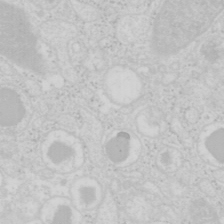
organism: Mouse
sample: Pancreas